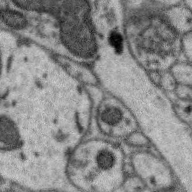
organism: Zebra finch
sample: Brain